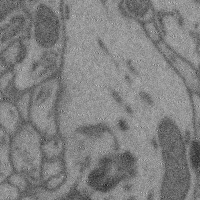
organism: Mouse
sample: Cerebral cortex